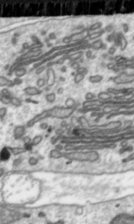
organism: Toxoplasma gondii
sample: Parasites in a vacuole inside a host cell